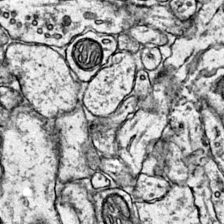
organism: Mouse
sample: Primary visual cortex